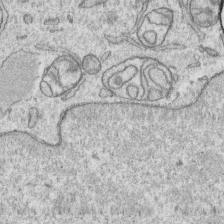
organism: Human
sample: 1205lu cells